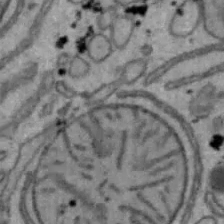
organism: Mouse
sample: Liver